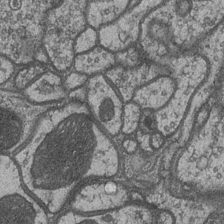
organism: Drosophila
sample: Optic medulla